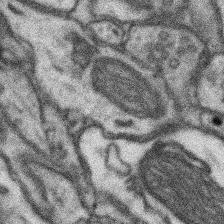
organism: Mouse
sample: Somatosensory cortex neuropil